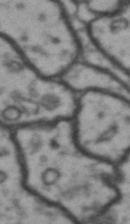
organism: Drosophila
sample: Brain